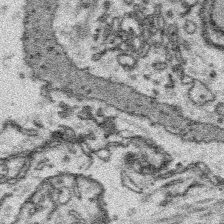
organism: Platynereis dumerilii